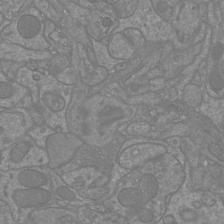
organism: Mouse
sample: Cortical neurons